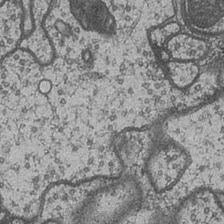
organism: Drosophila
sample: Optic medulla